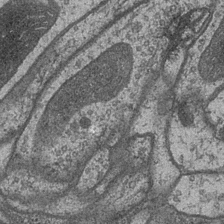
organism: Drosophila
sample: Optic medulla